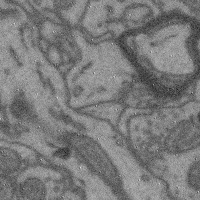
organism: Mouse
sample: Cerebral cortex